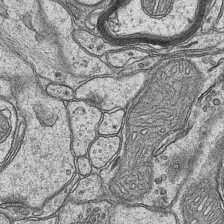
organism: Mouse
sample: CA1 Hippocampus